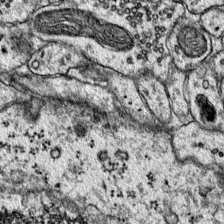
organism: Mouse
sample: Primary visual cortex